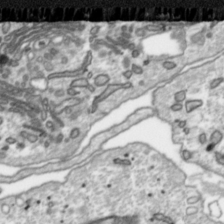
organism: Toxoplasma gondii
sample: Parasites in a vacuole inside a host cell